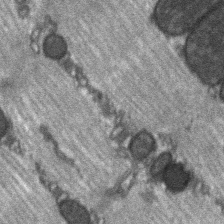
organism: C57BL Mouse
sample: Soleus